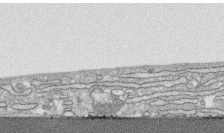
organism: Human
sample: CRL-1474